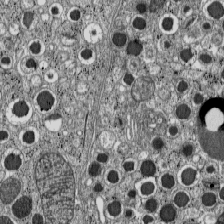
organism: C57BL Mouse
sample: Pancreatic islet